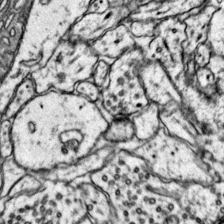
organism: Mouse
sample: Primary visual cortex